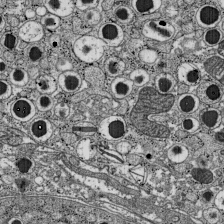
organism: C57BL Mouse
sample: Pancreatic islet